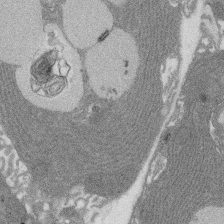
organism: Rat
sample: Salivary granule